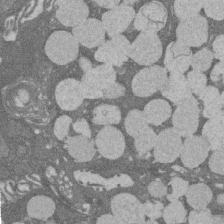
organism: Rat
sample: Salivary granule